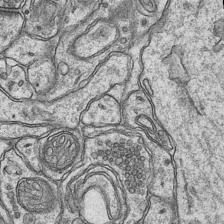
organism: Mouse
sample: CA1 Hippocampus